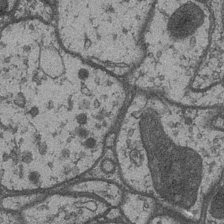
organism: Drosophila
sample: Optic medulla